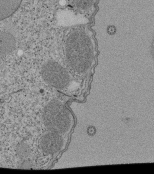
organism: Tetrahymena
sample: Cilia in tetrahymena